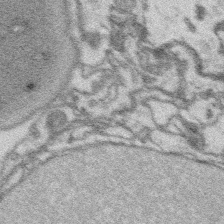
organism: Platynereis dumerilii